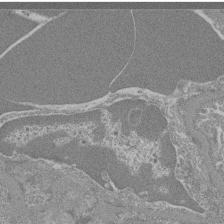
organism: Mouse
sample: Glomerulus